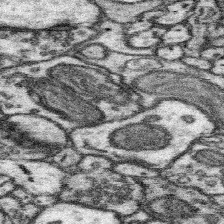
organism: Mouse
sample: Somatosensory cortex neuropil